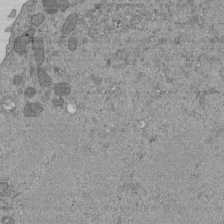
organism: Mouse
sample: ED-1 cell nuclei; centrioles